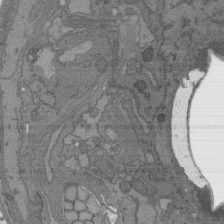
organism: C. elegans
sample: AFD neurons C. elegans